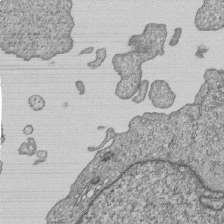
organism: Human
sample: MDA-MB-231 cells